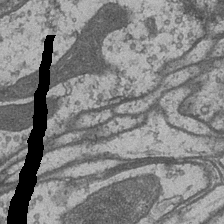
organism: Drosophila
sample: Optic medulla